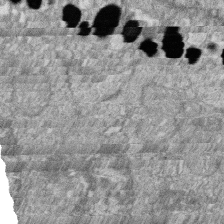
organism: Zebrafish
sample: Cilia; retinal pigment epithelium